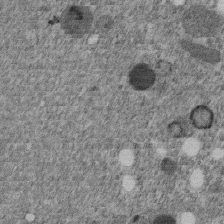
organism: C. elegans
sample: C. elegans embryo early stage